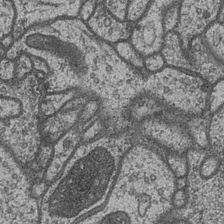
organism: Drosophila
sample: Optic medulla